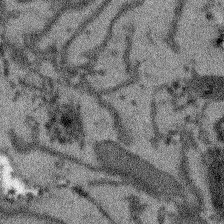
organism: Arabidopsis thaliana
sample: Root tip